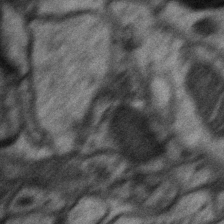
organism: Mouse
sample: CA1 Hippocampus